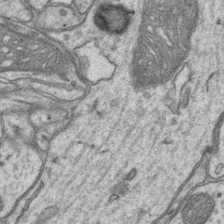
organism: Mouse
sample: CA1 Hippocampus